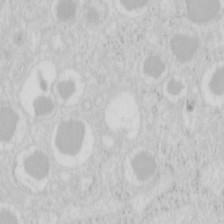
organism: Mouse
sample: Pancreas